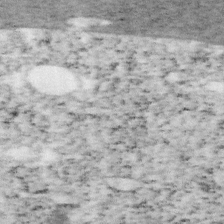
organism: Mouse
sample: OT-I killer T cells with ID8 ovarian cancer cells